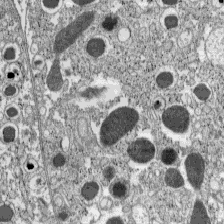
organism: C57BL Mouse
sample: Pancreatic islet